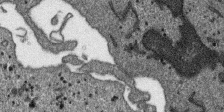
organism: Human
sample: Lung epithelial cells infected with SARS-CoV-2